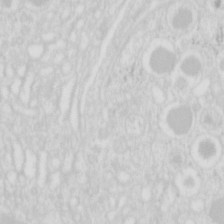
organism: Mouse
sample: Pancreas